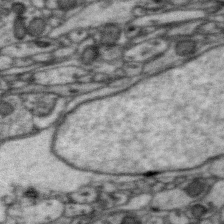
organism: Zebra finch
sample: Brain